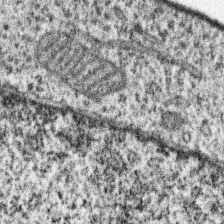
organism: Human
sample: HeLa cells